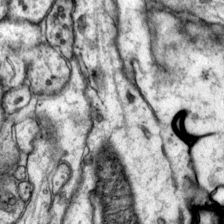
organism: Mouse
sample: Primary visual cortex